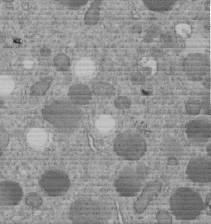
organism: C. elegans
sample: C. elegans embryo early stage